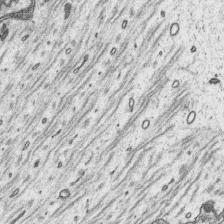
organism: Platynereis dumerilii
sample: Parapodia